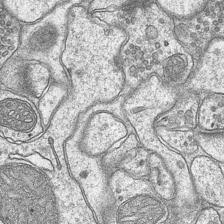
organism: Mouse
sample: CA1 Hippocampus